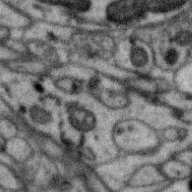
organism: Zebra finch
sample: Brain